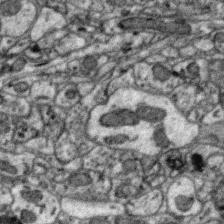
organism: Zebra finch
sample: Brain